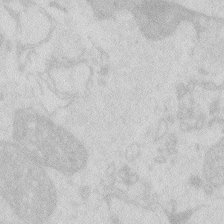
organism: Zebrafish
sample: Macrophage